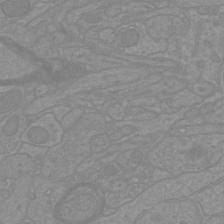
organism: Mouse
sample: Cortical neurons